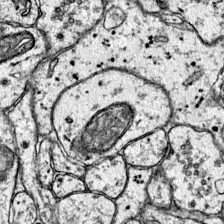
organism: Mouse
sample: Primary visual cortex